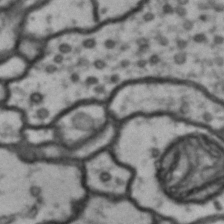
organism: Drosophila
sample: Brain